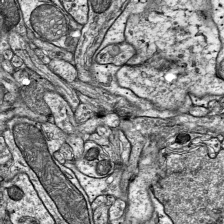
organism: Mouse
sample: Visual Cortex